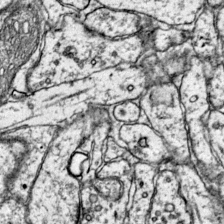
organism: Mouse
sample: Primary visual cortex